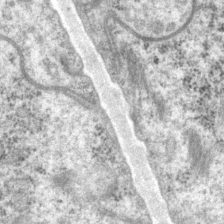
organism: P. pacificus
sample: Pharynx